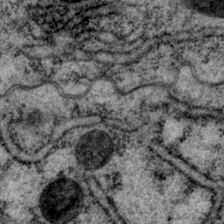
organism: P. pacificus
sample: Pharynx